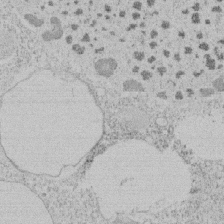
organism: Tetrahymena